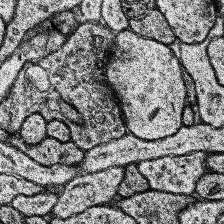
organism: Human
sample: Temporal Lobe